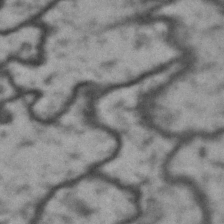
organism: Drosophila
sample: Brain